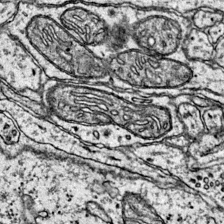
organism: Mouse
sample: Primary visual cortex